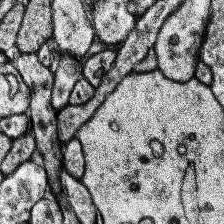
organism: Human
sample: Temporal Lobe